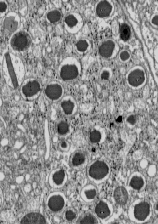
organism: C57BL Mouse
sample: Pancreatic islet